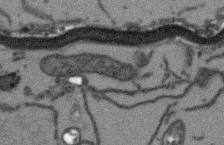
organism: Arabidopsis thaliana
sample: Root tip